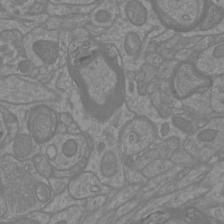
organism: Mouse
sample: Cortical neurons